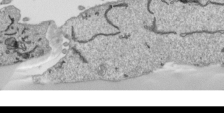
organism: Human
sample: Mitochondria in HCT116 cells